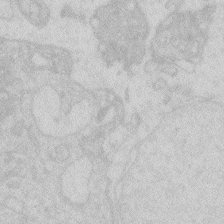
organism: Zebrafish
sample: Macrophage